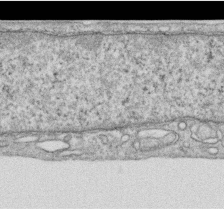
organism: Human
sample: Centriole in RPE cells